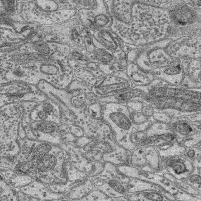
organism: Mouse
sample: Retina